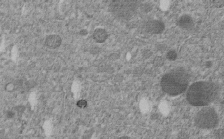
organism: C. elegans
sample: C. elegans embryo early stage